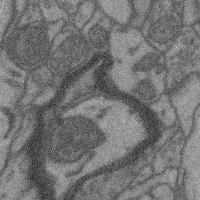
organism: Mouse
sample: Cerebral cortex